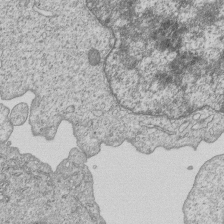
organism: Human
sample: MDA-MB-231 cells